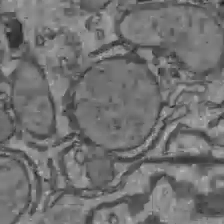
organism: C57BL Mouse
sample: Liver